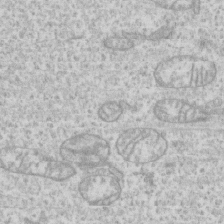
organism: Human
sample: CRL-1474